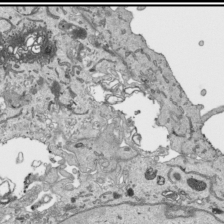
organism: Human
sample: Mitochondria in HCT116 cells